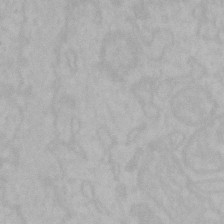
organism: Mouse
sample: Choroid plexus